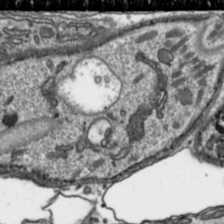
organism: Toxoplasma gondii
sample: Parasites in a vacuole inside a host cell